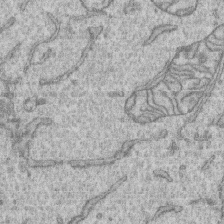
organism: Human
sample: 1205lu cells